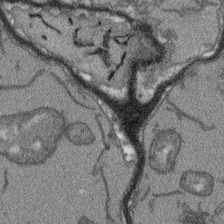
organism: Arabidopsis thaliana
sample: Root tip